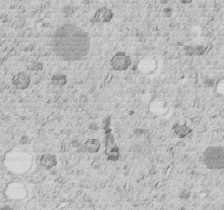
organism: C. elegans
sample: C. elegans embryo early stage